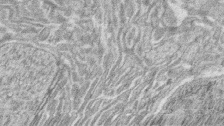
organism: Zebrafish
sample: synaptic ribbons in rod cells and cone cells